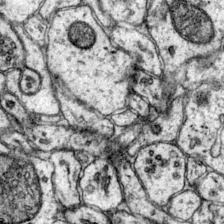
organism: Mouse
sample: Primary visual cortex